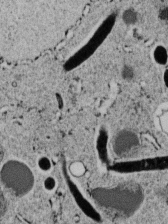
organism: C. elegans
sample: C. elegans embryo early stage